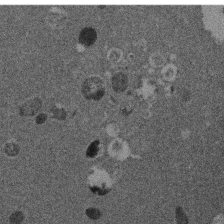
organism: Mouse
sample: Dividing mouse embryo 1 cell stage